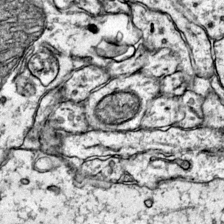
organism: Mouse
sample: Primary visual cortex